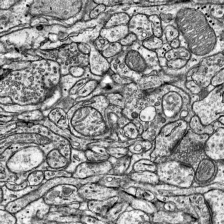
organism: Mouse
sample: Visual Cortex